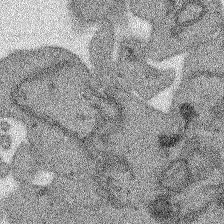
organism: Human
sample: HeLa cells